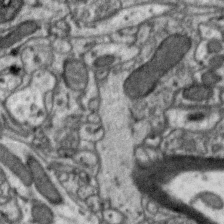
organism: Zebra finch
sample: Brain